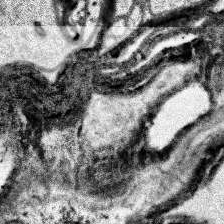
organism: Human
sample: Temporal Lobe